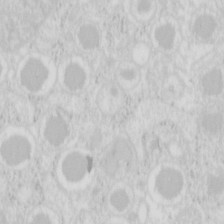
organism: Mouse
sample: Pancreas